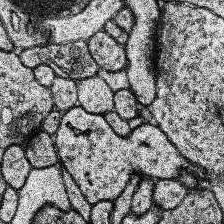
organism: Human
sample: Temporal Lobe